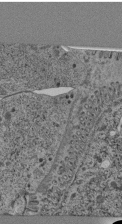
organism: C. elegans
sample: C. elegans pharynx